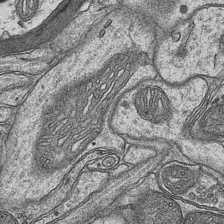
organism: Mouse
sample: CA1 Hippocampus